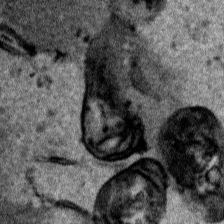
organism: Human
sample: Mitochondria in HCT116 cells